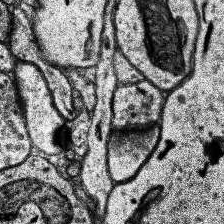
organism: Human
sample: Temporal Lobe